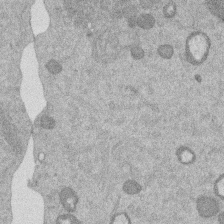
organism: Mouse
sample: Dividing mouse embryo 1 cell stage